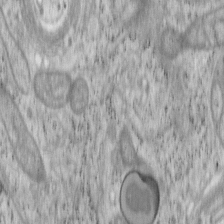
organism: Human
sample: HeLa cells